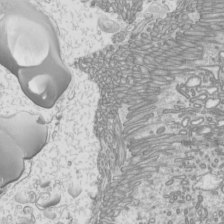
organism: Mouse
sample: Cilia; mouse epididymis